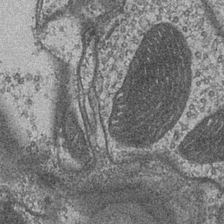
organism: Drosophila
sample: Optic medulla